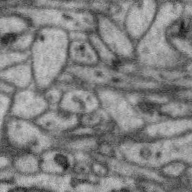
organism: Zebra finch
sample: Brain